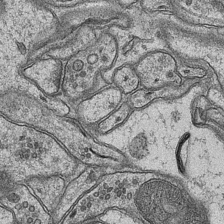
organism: Mouse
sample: CA1 Hippocampus